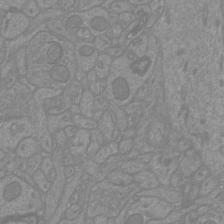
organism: Mouse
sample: Cortical neurons